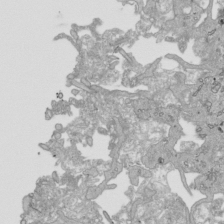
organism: Human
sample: Mitochondria in HCT116 cells